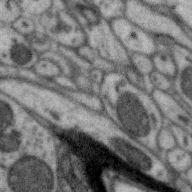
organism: Zebra finch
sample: Brain